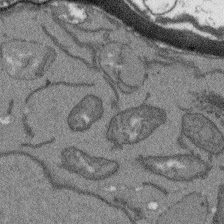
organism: Arabidopsis thaliana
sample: Root tip